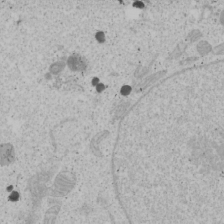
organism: Human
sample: Mitochondria in U2OS cells